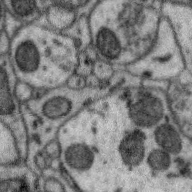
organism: Zebra finch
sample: Brain